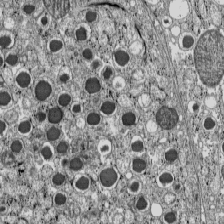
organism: C57BL Mouse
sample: Pancreatic islet